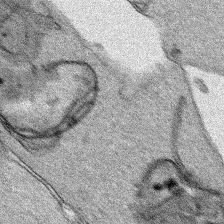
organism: Human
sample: Mitochondria in HCT116 cells